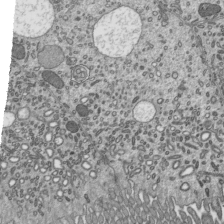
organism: Mouse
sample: Mouse epididymis efferent ductule cilia